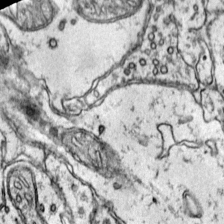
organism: Mouse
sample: Primary visual cortex